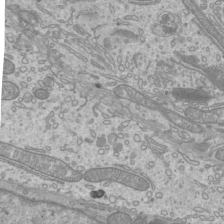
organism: Mouse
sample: Cilia; mouse epididymis